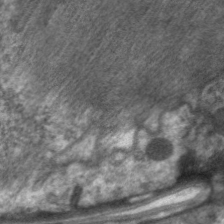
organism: C. elegans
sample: Pharynx